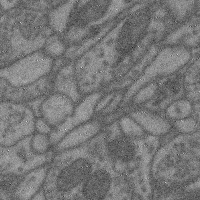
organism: Mouse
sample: Cerebral cortex